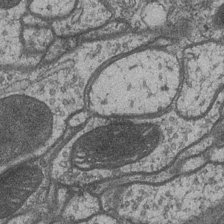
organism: Drosophila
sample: Optic medulla